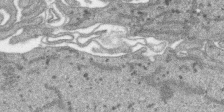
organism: Human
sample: Lung epithelial cells infected with SARS-CoV-2